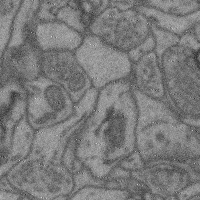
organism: Mouse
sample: Cerebral cortex